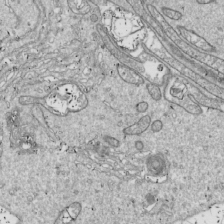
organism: Drosophila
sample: Cell division; meiosis; drosophila spermatocytes